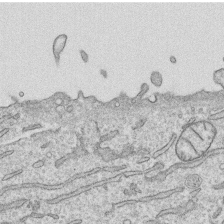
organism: Human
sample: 1205lu cells